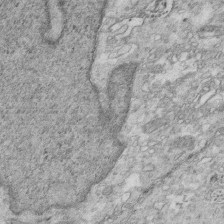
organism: Mouse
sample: Multiciliated cells